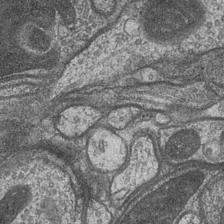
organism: Drosophila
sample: Optic medulla